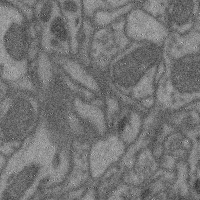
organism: Mouse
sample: Cerebral cortex